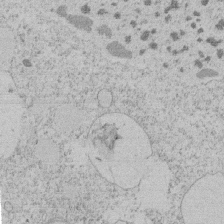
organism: Tetrahymena